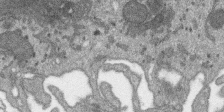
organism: Human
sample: Lung epithelial cells infected with SARS-CoV-2